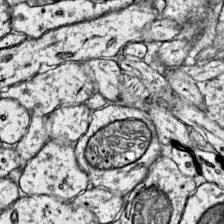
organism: Mouse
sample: Primary visual cortex